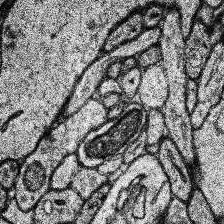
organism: Human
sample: Temporal Lobe